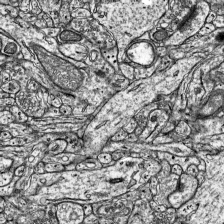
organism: Mouse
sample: Visual Cortex